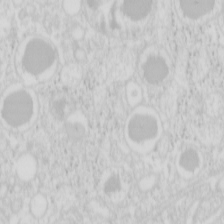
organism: Mouse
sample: Pancreas